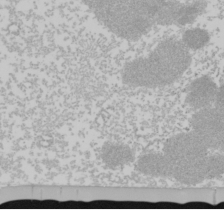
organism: Mouse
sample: Cancer cell death in ED-1 cells